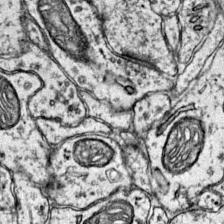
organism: Mouse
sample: Primary visual cortex